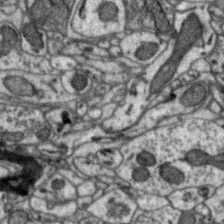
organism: Zebra finch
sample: Brain